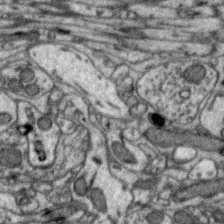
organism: Zebra finch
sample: Brain